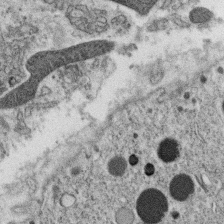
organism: C. elegans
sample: C. elegans oocyte; sperm cells